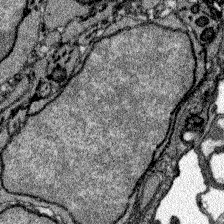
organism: Zebrafish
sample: Larval olfactory bulb